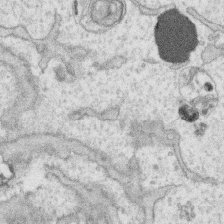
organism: Human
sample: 1205lu cells